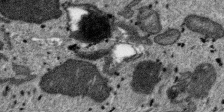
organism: Human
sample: Lung epithelial cells, uninfected (mock) control